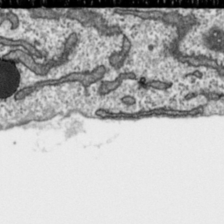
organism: Toxoplasma gondii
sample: Parasites in a vacuole inside a host cell